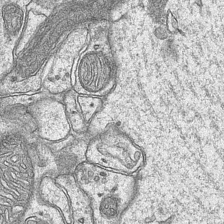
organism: Mouse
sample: CA1 Hippocampus